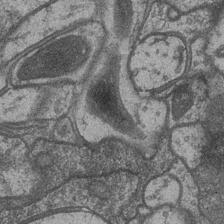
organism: Drosophila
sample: Optic medulla